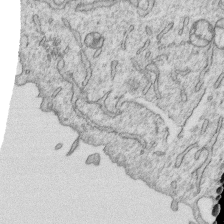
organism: Human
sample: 1205lu cells